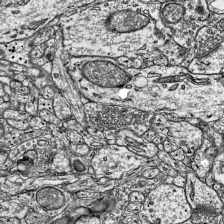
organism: Mouse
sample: Visual Cortex